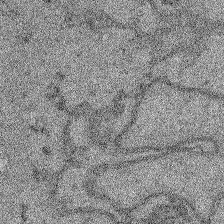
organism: Human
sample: HeLa cells